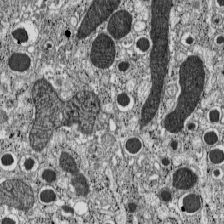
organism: C57BL Mouse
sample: Pancreatic islet